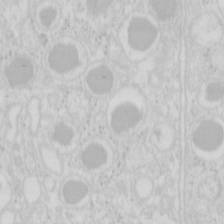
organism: Mouse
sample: Pancreas